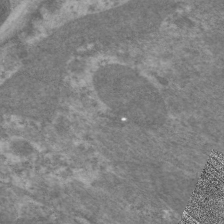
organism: C. elegans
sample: Pharynx